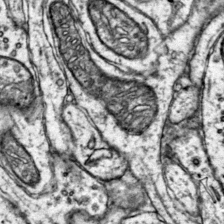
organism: Mouse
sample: Primary visual cortex